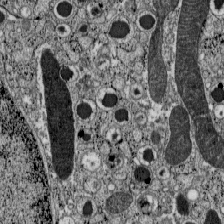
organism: C57BL Mouse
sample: Pancreatic islet